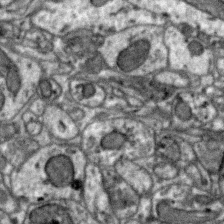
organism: Zebra finch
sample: Brain